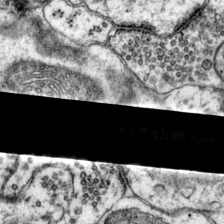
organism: Mouse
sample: Primary visual cortex